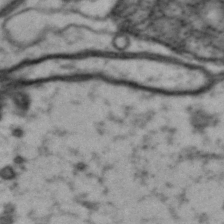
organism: Drosophila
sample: Brain